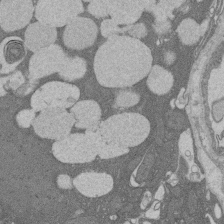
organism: Rat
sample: Salivary granule